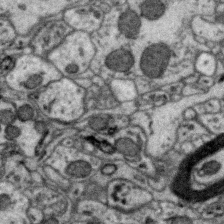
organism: Zebra finch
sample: Brain